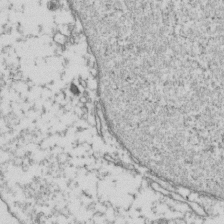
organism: Human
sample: Activated Jurkat CD4+ T cells